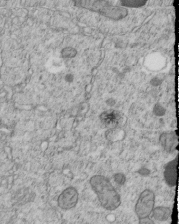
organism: C. elegans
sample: C. elegans embryo early stage